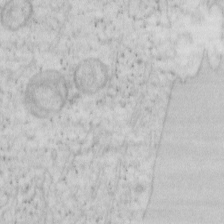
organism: Human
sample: HeLa cells